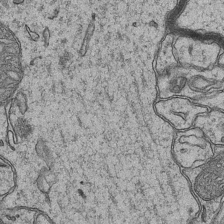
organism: Mouse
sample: CA1 Hippocampus